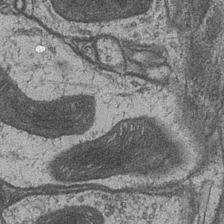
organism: Drosophila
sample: Optic medulla